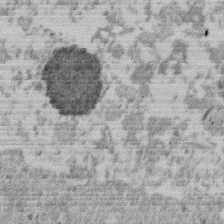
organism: Mouse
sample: Dividing mouse embryo 1 cell stage